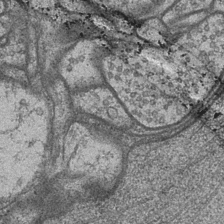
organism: Drosophila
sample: Optic medulla